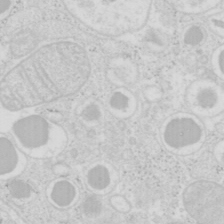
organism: Mouse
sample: Pancreas